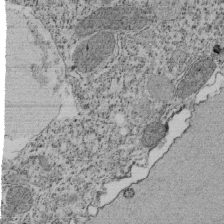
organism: Tetrahymena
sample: Cilia in tetrahymena